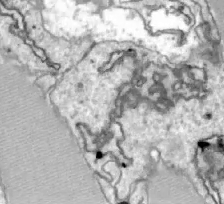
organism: Zebrafish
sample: Actinotrichia fibers